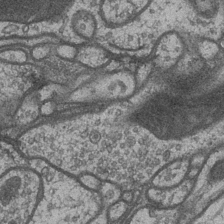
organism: Drosophila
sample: Optic medulla